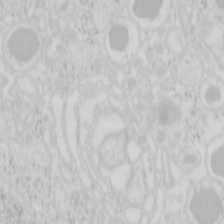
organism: Mouse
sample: Pancreas